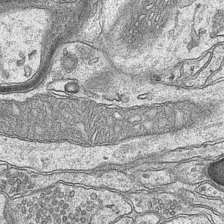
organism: Mouse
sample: CA1 Hippocampus